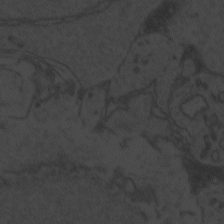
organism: Zebrafish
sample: Macrophage infected with Toxoplasma gondii